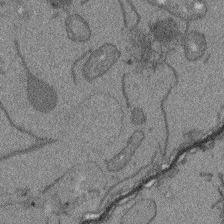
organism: Arabidopsis thaliana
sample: Root tip